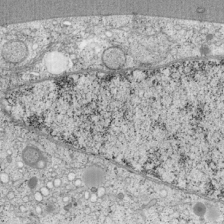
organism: African green monkey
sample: COS-7 cells